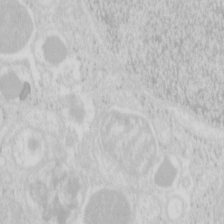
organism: Mouse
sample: Pancreas